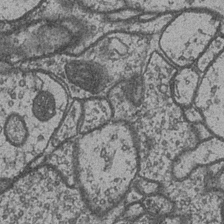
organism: Drosophila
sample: Optic medulla